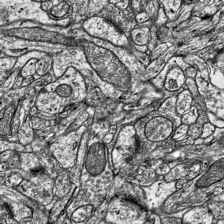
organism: Mouse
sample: Visual Cortex